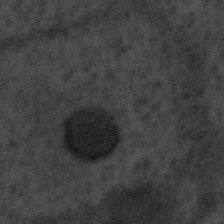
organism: Tuwongella immobilis